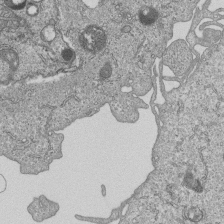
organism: Human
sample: MDA-MB-231 cells